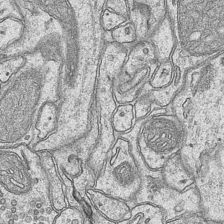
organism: Mouse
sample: CA1 Hippocampus